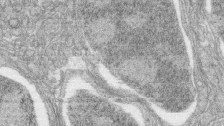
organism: Zebrafish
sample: synaptic ribbons in rod cells and cone cells